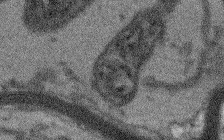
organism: Arabidopsis thaliana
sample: Root tip